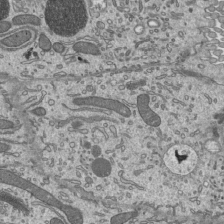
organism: Mouse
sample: Mouse epididymis efferent ductule cilia